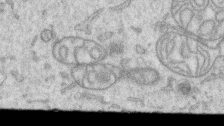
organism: Human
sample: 1205lu cells